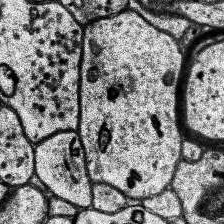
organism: Human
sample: Temporal Lobe